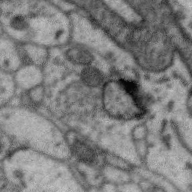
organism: Zebra finch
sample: Brain